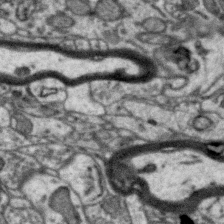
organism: Zebra finch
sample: Brain